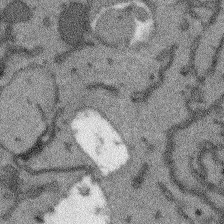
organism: Arabidopsis thaliana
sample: Root tip